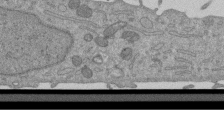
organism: Mouse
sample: ED-1 cell nuclei; centrioles